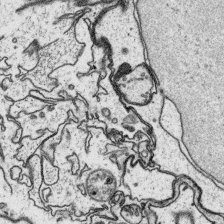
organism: Platynereis dumerilii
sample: Parapodia